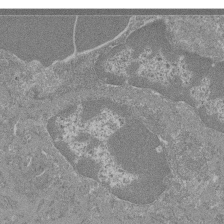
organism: Mouse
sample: Glomerulus